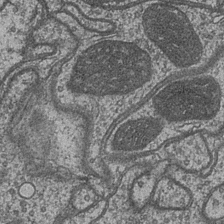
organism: Drosophila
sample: Optic medulla